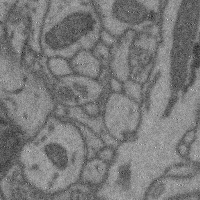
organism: Mouse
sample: Cerebral cortex